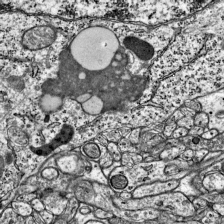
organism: Mouse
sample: Visual Cortex